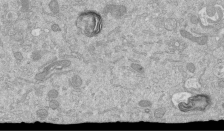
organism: Mouse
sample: ED-1 cell nuclei; centrioles